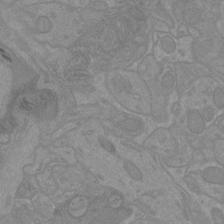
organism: Mouse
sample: Cortical neurons